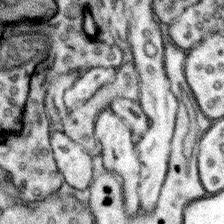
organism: Mouse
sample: Somatosensory cortex neuropil